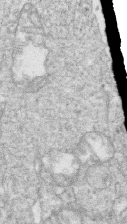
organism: Human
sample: HeLa cell HIV synapse